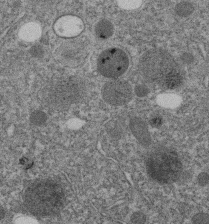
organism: C. elegans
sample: C. elegans embryo early stage